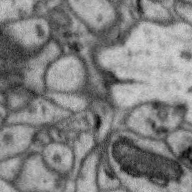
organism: Zebra finch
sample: Brain